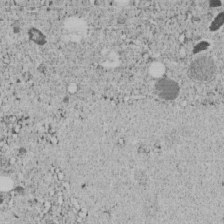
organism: C. elegans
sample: C. elegans embryo early stage